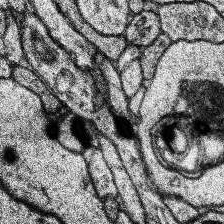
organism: Human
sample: Temporal Lobe